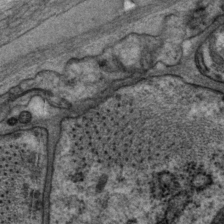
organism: P. pacificus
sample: Pharynx